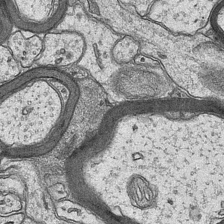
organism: Mouse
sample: CA1 Hippocampus